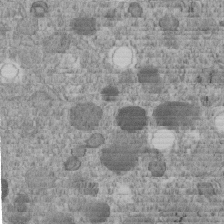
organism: C. elegans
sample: C. elegans embryo early stage